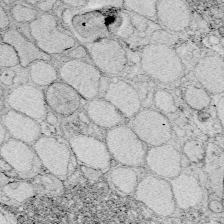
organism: Zebrafish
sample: Whole-Brain